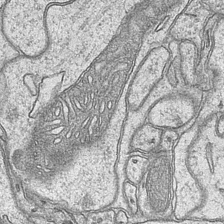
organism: Mouse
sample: CA1 Hippocampus